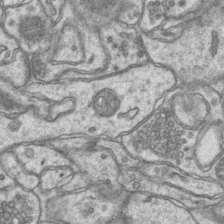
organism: Mouse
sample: CA1 Hippocampus